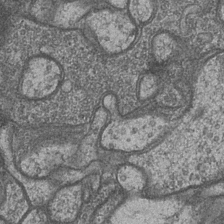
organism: Drosophila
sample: Optic medulla